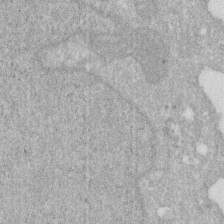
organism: Human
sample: HIV infected U937 cells